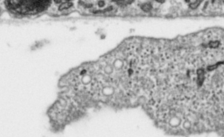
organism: Toxoplasma gondii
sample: Parasites in a vacuole inside a host cell